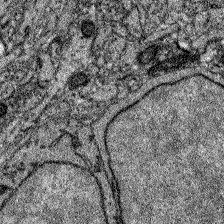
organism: Zebrafish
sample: Larval olfactory bulb